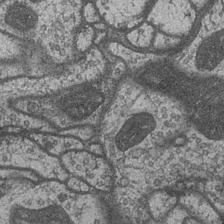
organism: Drosophila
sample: Optic medulla